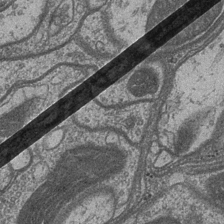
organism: Drosophila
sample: Optic medulla